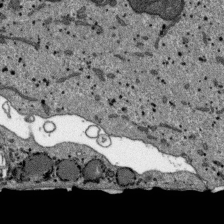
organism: Human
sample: Lung epithelial cells, uninfected (mock) control